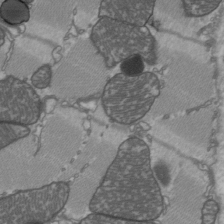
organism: C57BL Mouse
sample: Heart